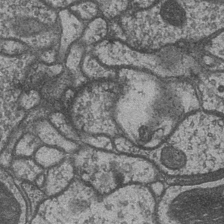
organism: Drosophila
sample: Optic medulla